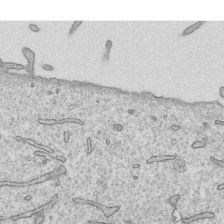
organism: Human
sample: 1205lu cells